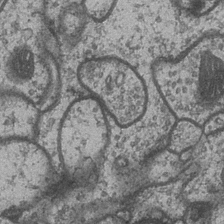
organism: Drosophila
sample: Optic medulla